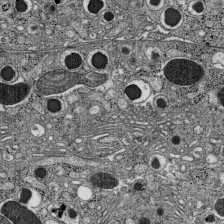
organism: C57BL Mouse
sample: Pancreatic islet